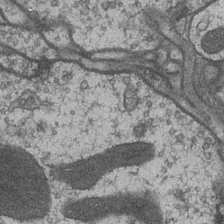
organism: Drosophila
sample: Optic medulla